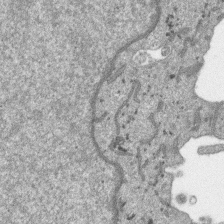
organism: Human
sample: Lung epithelial cells infected with SARS-CoV-2